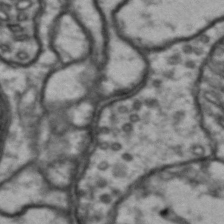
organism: Drosophila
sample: Brain